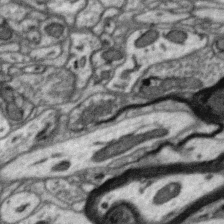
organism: Zebra finch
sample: Brain